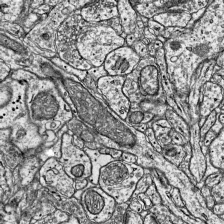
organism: Mouse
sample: Visual Cortex